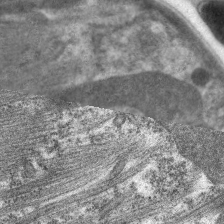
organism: C. elegans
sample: Pharynx